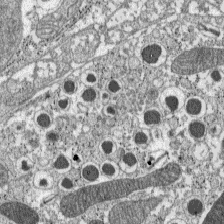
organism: C57BL Mouse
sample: Pancreatic islet